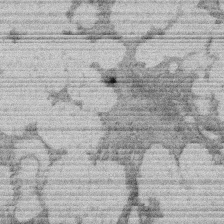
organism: Rat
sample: Salivary granule